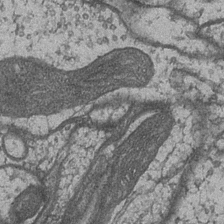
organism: Drosophila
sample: Optic medulla